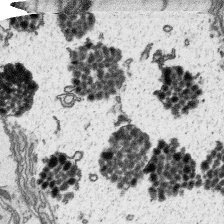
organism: Platynereis dumerilii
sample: Parapodia